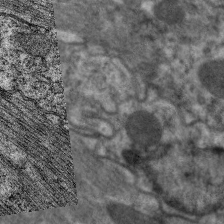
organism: C. elegans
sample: Pharynx